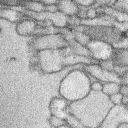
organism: Rabbit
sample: Retina